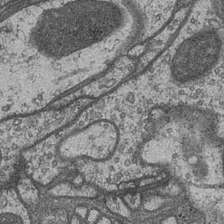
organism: Drosophila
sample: Optic medulla